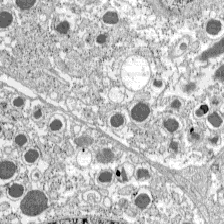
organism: C57BL Mouse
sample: Pancreatic islet